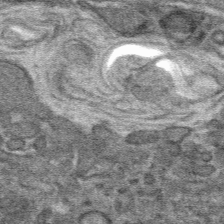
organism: Mouse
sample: Mouse hepatocytes